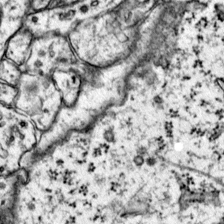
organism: Mouse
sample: Primary visual cortex